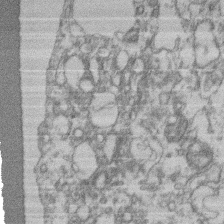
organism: Mouse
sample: T cell stromal cell synapse